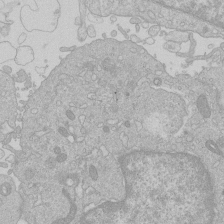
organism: Human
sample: Macrophage cells